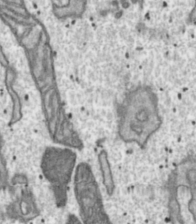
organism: Toxoplasma gondii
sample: Parasites in a vacuole inside a host cell